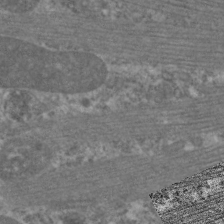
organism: C. elegans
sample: Pharynx